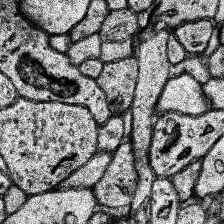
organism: Human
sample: Temporal Lobe